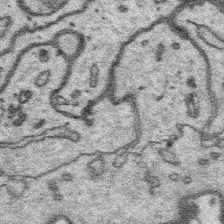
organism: Platynereis dumerilii